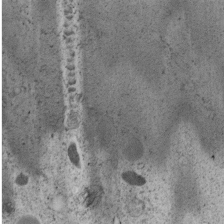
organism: C. elegans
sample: C. elegans embryo early stage